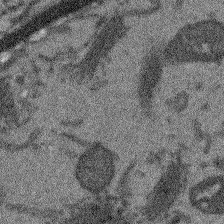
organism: Arabidopsis thaliana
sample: Root tip